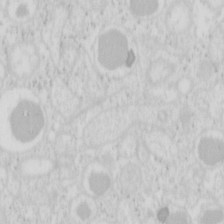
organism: Mouse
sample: Pancreas